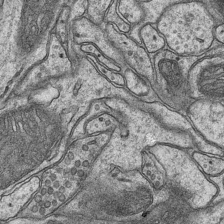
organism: Mouse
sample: CA1 Hippocampus